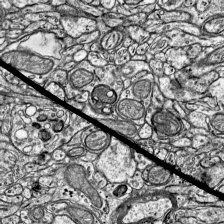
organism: Mouse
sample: Visual Cortex